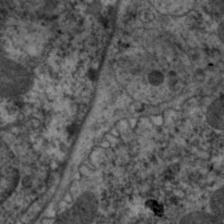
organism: C. elegans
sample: Pharynx